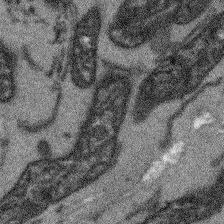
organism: Arabidopsis thaliana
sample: Root tip